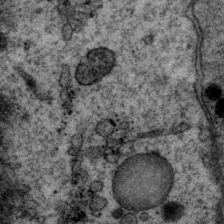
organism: P. pacificus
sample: Pharynx